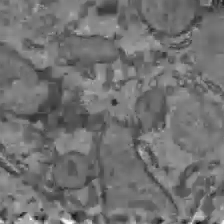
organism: C57BL Mouse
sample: Liver